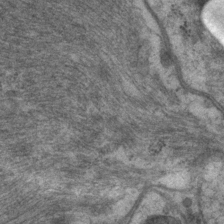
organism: P. pacificus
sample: Pharynx